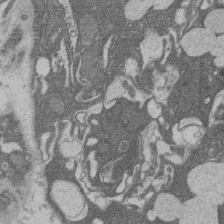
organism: Rat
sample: Salivary granule